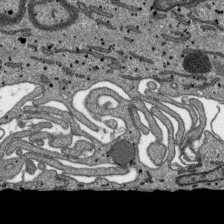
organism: Human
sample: Lung epithelial cells, uninfected (mock) control